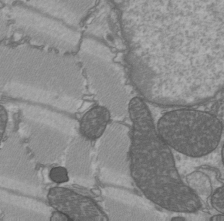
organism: C57BL Mouse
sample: Heart